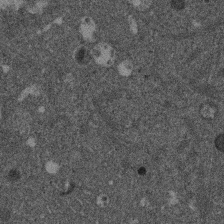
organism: Mouse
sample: Dividing mouse embryo 1 cell stage